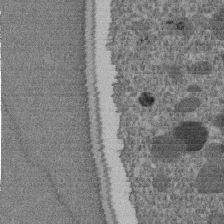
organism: C. elegans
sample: C. elegans embryo early stage